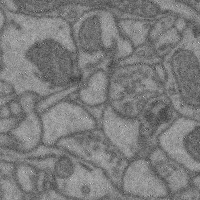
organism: Mouse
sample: Cerebral cortex